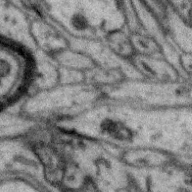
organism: Zebra finch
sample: Brain